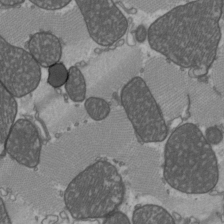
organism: C57BL Mouse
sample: Heart